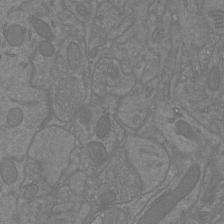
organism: Mouse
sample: Cortical neurons